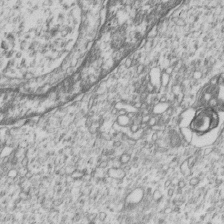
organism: Human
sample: MDA-MB-231 cells